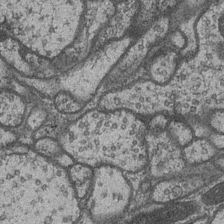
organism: Drosophila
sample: Optic medulla